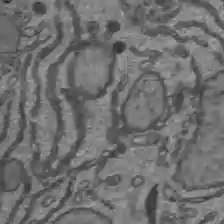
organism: C57BL Mouse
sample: Liver